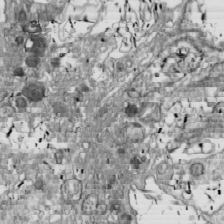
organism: Drosophila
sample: Cell division; meiosis; drosophila spermatocytes